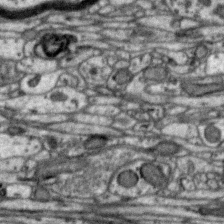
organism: Zebra finch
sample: Brain